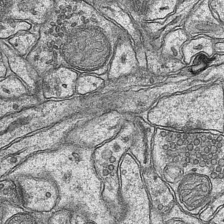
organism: Mouse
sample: CA1 Hippocampus